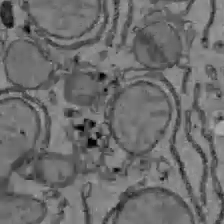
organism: C57BL Mouse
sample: Liver